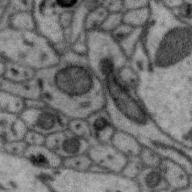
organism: Zebra finch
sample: Brain